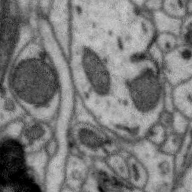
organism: Zebra finch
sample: Brain